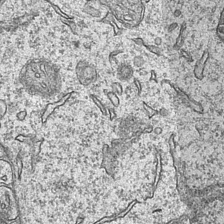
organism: Mouse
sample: CA1 Hippocampus